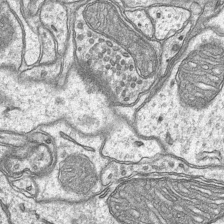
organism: Mouse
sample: CA1 Hippocampus